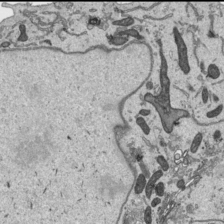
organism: Human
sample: Mitochondria in HCT116 cells